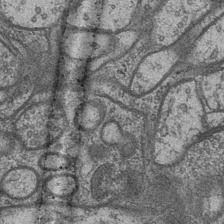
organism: Drosophila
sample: Optic medulla